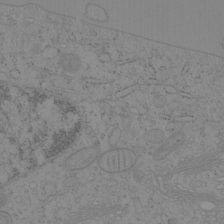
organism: Human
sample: HeLa cells